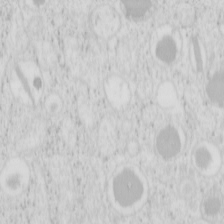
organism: Mouse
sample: Pancreas